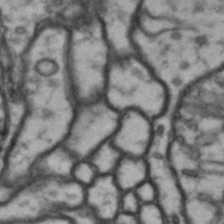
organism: Drosophila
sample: Brain